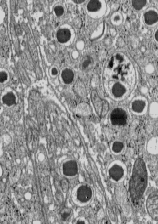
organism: C57BL Mouse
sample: Pancreatic islet